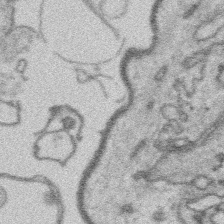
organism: Platynereis dumerilii